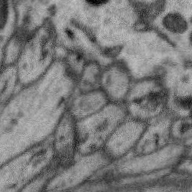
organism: Zebra finch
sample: Brain